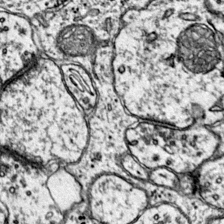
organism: Mouse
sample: Primary visual cortex